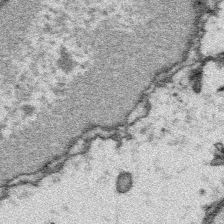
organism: Platynereis dumerilii